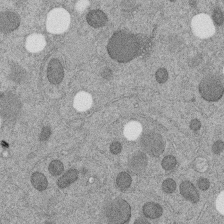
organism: C. elegans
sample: C. elegans embryo early stage